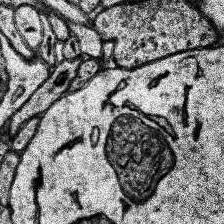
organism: Human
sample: Temporal Lobe